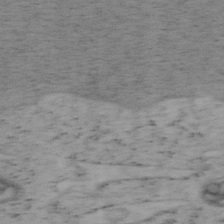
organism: Mouse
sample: OT-I killer T cells with ID8 ovarian cancer cells